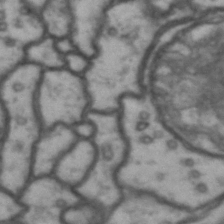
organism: Drosophila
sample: Brain